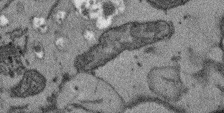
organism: Arabidopsis thaliana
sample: Root tip